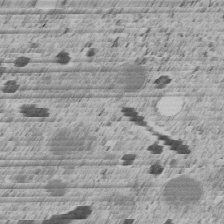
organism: C. elegans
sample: C. elegans embryo early stage